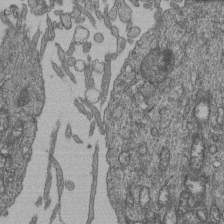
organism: Human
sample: Retinal organoid Rod and Cone cells